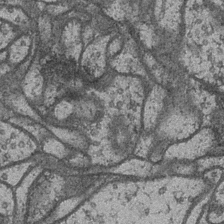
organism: Drosophila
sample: Optic medulla